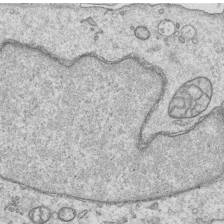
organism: Human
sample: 1205lu cells